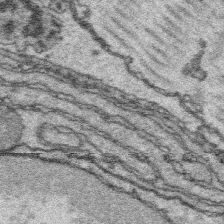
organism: Platynereis dumerilii